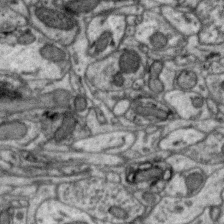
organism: Zebra finch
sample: Brain